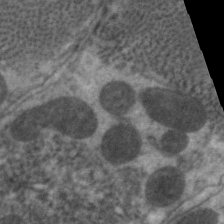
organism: C. elegans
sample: Pharynx